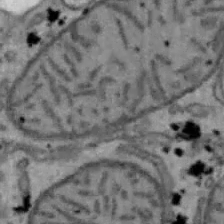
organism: Mouse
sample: Liver